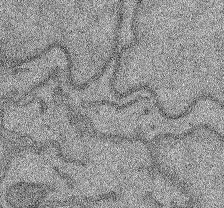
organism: Human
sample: HeLa cells